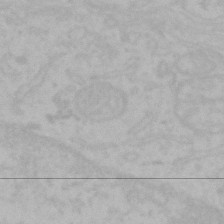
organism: Mouse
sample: Choroid plexus